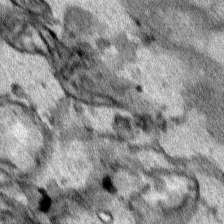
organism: Human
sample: Mitochondria in HCT116 cells